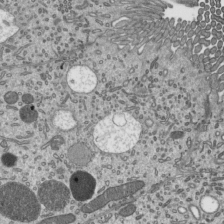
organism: Mouse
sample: Mouse epididymis efferent ductule cilia